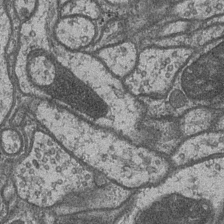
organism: Drosophila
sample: Optic medulla